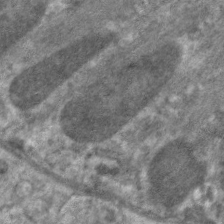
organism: C. elegans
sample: Pharynx